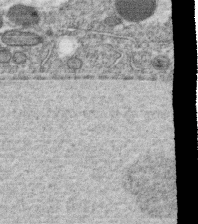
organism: C. elegans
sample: C. elegans oocyte; sperm cells